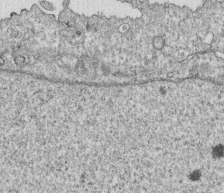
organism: Human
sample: HeLa cell HIV synapse